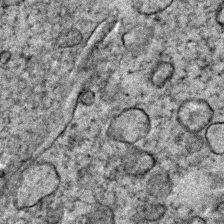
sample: Trachea